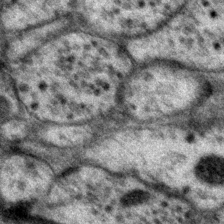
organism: P. pacificus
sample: Pharynx